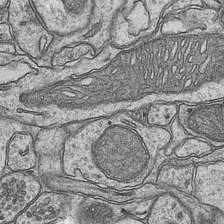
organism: Mouse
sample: CA1 Hippocampus